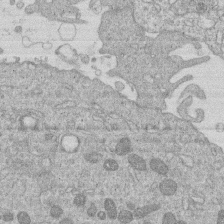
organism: Human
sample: Macrophage cells